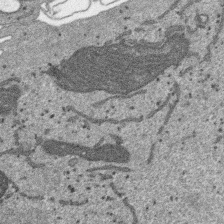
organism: Human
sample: Lung epithelial cells infected with SARS-CoV-2